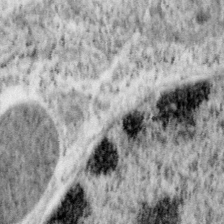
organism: Mouse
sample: OT-I killer T cells with ID8 ovarian cancer cells